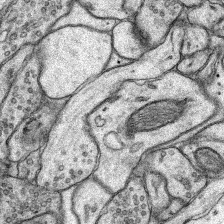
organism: Rat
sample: Hippocampus